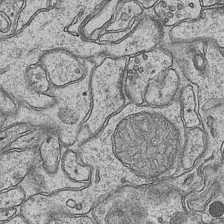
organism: Mouse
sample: CA1 Hippocampus